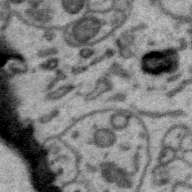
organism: Zebra finch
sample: Brain